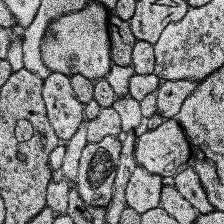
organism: Human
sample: Temporal Lobe